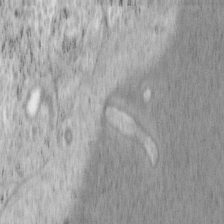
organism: Human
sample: HeLa cells